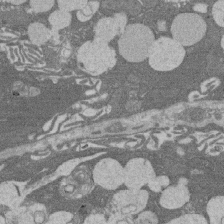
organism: Rat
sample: Salivary granule